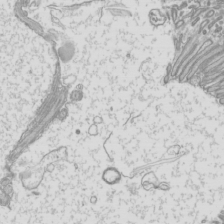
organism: Mouse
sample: Cilia; mouse epididymis